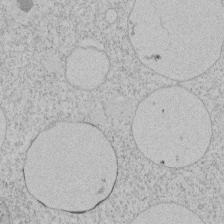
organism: Tetrahymena